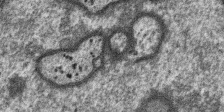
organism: Human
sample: Lung epithelial cells infected with SARS-CoV-2